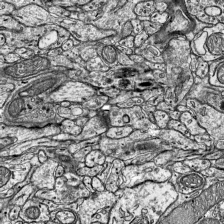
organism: Mouse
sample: Visual Cortex